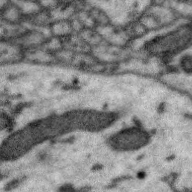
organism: Zebra finch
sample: Brain